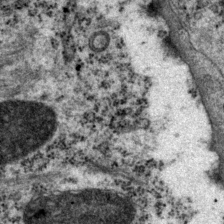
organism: P. pacificus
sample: Pharynx